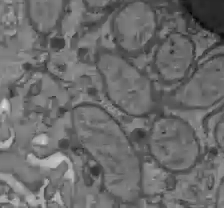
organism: C57BL Mouse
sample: Liver